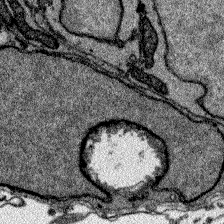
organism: Zebrafish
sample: Larval olfactory bulb